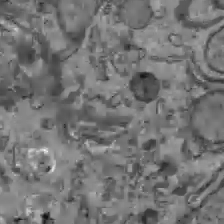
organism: C57BL Mouse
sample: Liver